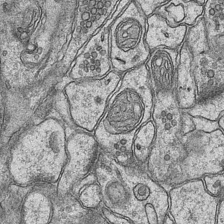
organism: Mouse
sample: CA1 Hippocampus